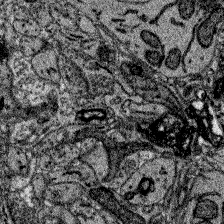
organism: Zebrafish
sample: Larval olfactory bulb